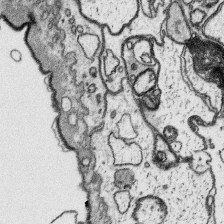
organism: Platynereis dumerilii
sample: Parapodia